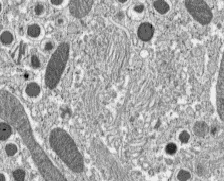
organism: C57BL Mouse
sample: Pancreatic islet